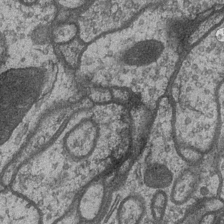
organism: Drosophila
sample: Optic medulla